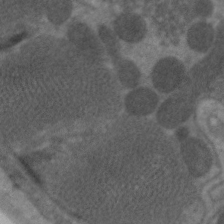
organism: C. elegans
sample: Pharynx